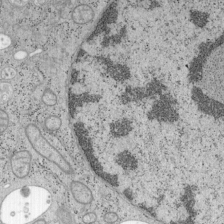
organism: Mouse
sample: OT-I killer T cells with ID8 ovarian cancer cells